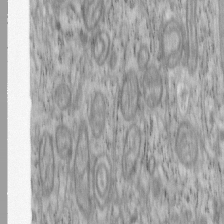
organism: Human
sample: HeLa cells